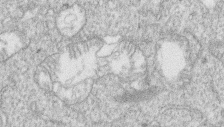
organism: Human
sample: HeLa cell HIV synapse